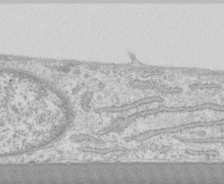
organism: Human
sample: CRL-1474